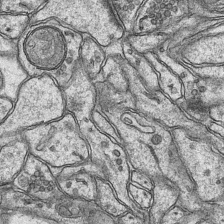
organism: Mouse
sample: CA1 Hippocampus